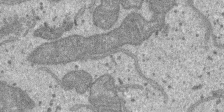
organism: Human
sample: Lung epithelial cells infected with SARS-CoV-2